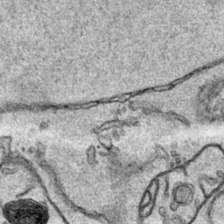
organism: Human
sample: Mitochondria in HCT116 cells